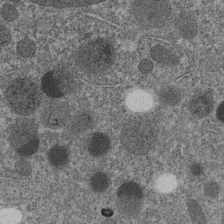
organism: C. elegans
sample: C. elegans embryo early stage